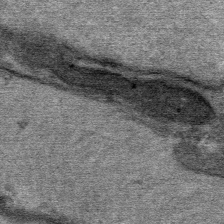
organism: Mouse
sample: Mouse Salivary gland